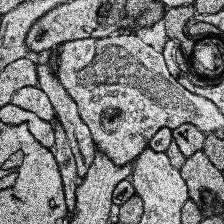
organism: Human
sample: Temporal Lobe